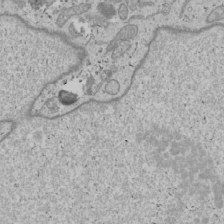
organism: Human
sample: Mitochondria in U2OS cells